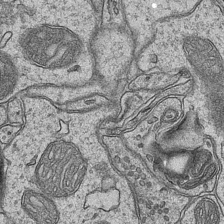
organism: Mouse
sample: CA1 Hippocampus